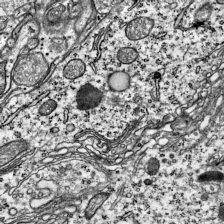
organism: Mouse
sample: Visual Cortex